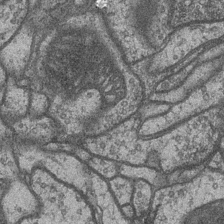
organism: Drosophila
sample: Optic medulla